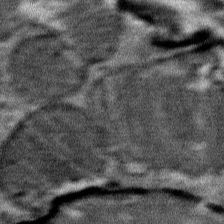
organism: Mouse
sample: Mouse Salivary gland